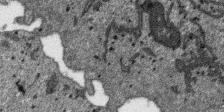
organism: Human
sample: Lung epithelial cells infected with SARS-CoV-2